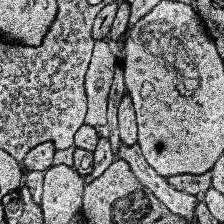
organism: Human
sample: Temporal Lobe